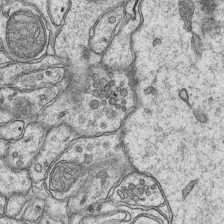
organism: Mouse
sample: CA1 Hippocampus